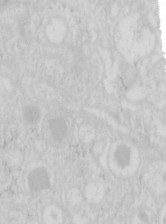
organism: Mouse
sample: Pancreas